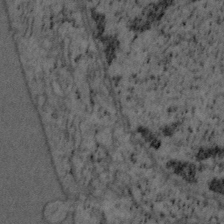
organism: Human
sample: HeLa cells